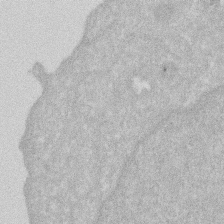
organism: Human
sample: HIV infected U937 cells